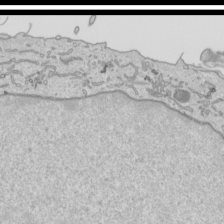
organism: Human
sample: Mitochondria in HCT116 cells